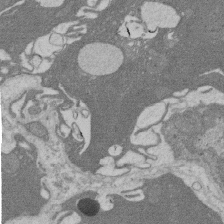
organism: Rat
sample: Salivary granule